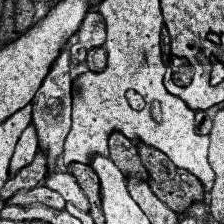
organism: Human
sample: Temporal Lobe